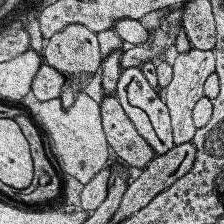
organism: Human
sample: Temporal Lobe